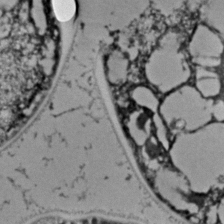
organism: C. elegans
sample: C. elegans embryo